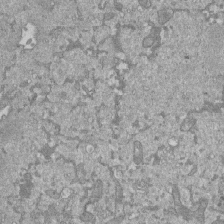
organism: Mouse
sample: ED-1 cell nuclei; centrioles